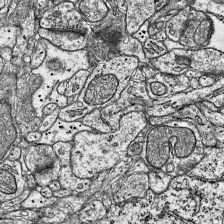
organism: Mouse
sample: Visual Cortex